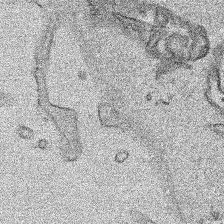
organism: Human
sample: Mitochondria in HCT116 cells